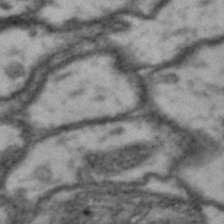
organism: Drosophila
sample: Brain